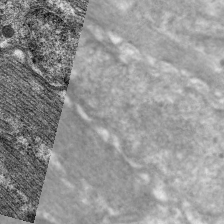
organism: C. elegans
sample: Pharynx